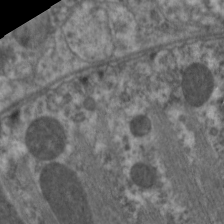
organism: C. elegans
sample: Pharynx